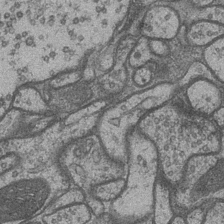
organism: Drosophila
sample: Optic medulla